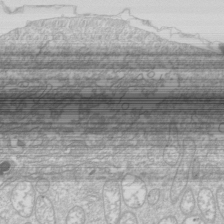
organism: Drosophila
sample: Cell division; meiosis; drosophila spermatocytes